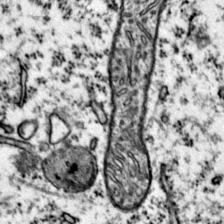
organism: Mouse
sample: Primary visual cortex